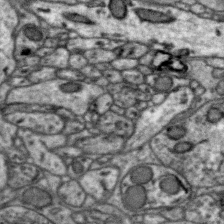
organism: Zebra finch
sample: Brain